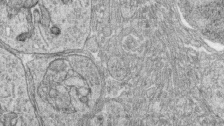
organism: Zebrafish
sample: synaptic ribbons in rod cells and cone cells